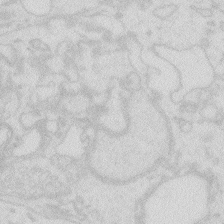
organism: Zebrafish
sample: Macrophage